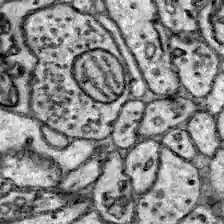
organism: Zebrafish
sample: Brain